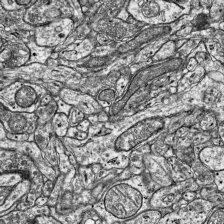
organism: Mouse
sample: Visual Cortex